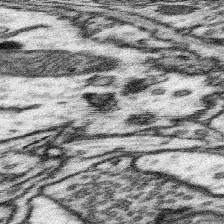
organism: Mouse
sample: Somatosensory cortex neuropil